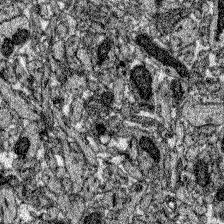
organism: Zebrafish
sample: Larval olfactory bulb